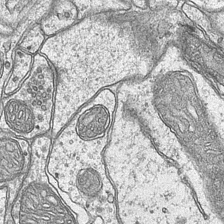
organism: Mouse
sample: CA1 Hippocampus